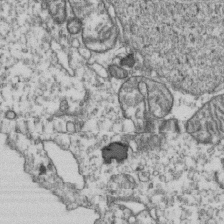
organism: Human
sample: Activated Jurkat CD4+ T cells